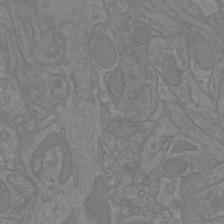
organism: Mouse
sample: Cortical neurons